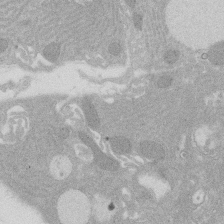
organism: Rat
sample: Salivary granule